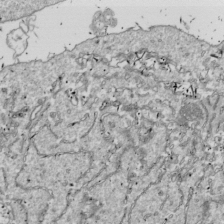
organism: Drosophila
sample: Cell division; meiosis; drosophila spermatocytes